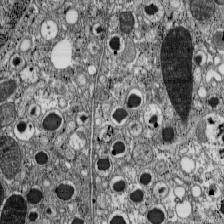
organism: C57BL Mouse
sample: Pancreatic islet